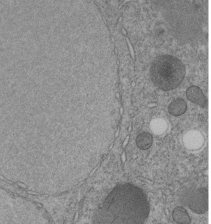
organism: C. elegans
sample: C. elegans embryo early stage